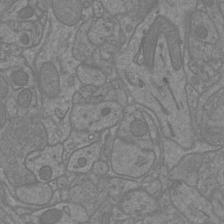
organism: Mouse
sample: Cortical neurons